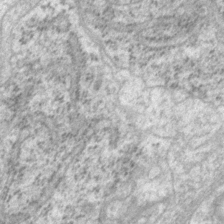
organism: P. pacificus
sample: Pharynx